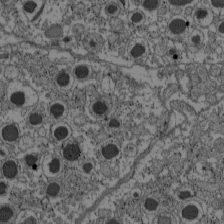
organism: C57BL Mouse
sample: Pancreatic islet